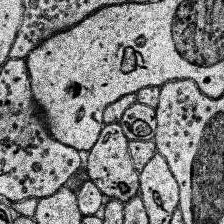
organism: Human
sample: Temporal Lobe